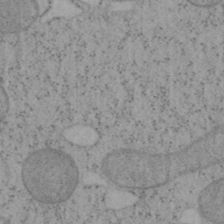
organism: Mouse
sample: OT-I killer T cells with ID8 ovarian cancer cells